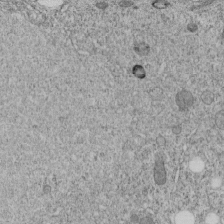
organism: C. elegans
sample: C. elegans embryo early stage